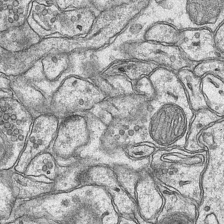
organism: Mouse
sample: CA1 Hippocampus